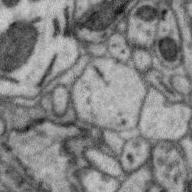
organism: Zebra finch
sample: Brain